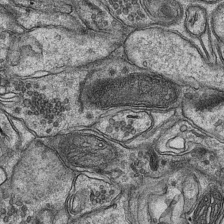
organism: Mouse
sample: CA1 Hippocampus